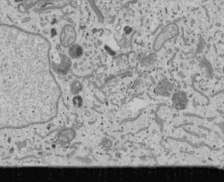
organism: Human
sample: Mitochondria in U2OS cells